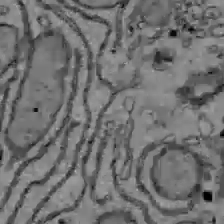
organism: C57BL Mouse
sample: Liver